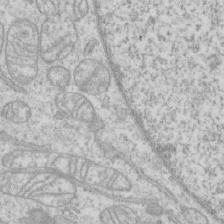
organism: Human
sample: CRL-1474